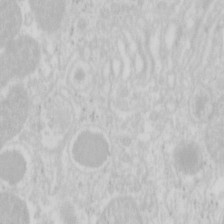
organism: Mouse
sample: Pancreas